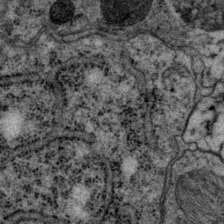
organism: P. pacificus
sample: Pharynx